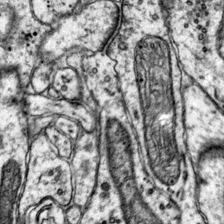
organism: Mouse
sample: Primary visual cortex